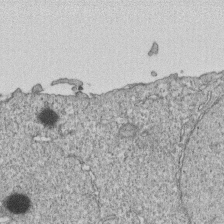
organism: Human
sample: HeLa cell HIV synapse